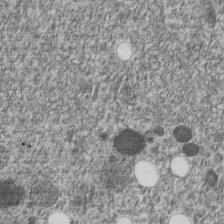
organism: C. elegans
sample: C. elegans embryo early stage